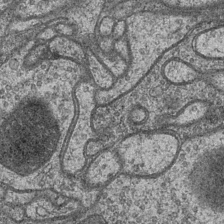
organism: Drosophila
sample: Optic medulla